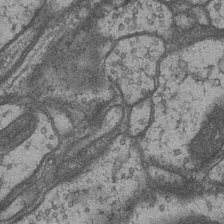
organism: Drosophila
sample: Optic medulla